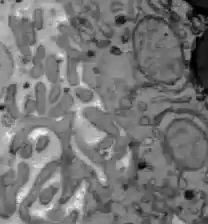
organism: C57BL Mouse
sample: Liver